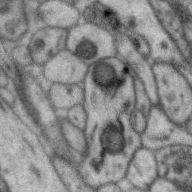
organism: Zebra finch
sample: Brain